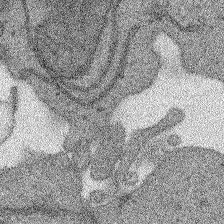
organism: Human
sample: HeLa cells